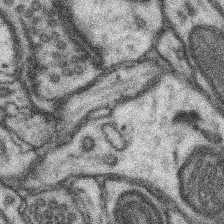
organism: Mouse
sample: Somatosensory cortex neuropil